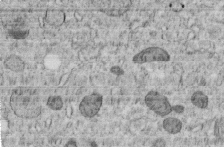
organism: C. elegans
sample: C. elegans embryo early stage